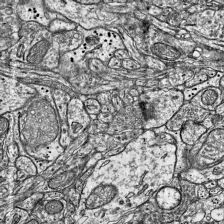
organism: Mouse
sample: Visual Cortex